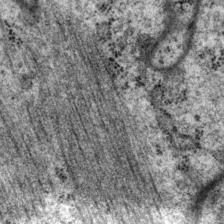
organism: P. pacificus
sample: Pharynx